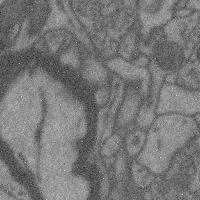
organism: Mouse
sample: Cerebral cortex